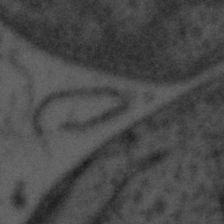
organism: Tuwongella immobilis